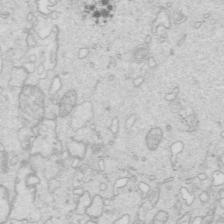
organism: Mouse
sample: Multiciliated cells